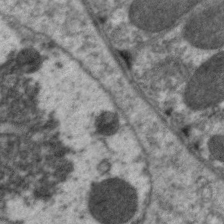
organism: C. elegans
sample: Pharynx